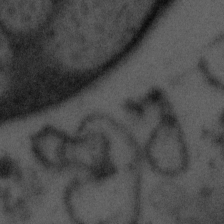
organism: Tuwongella immobilis